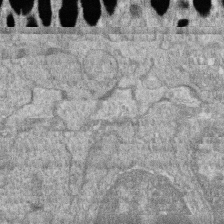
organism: Zebrafish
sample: Cilia; retinal pigment epithelium